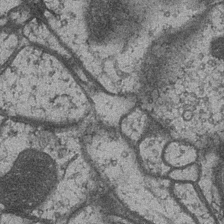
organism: Drosophila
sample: Optic medulla